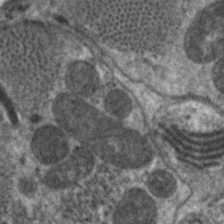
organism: C. elegans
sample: Pharynx